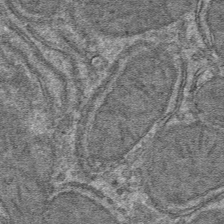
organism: Mouse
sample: Mouse hepatocytes